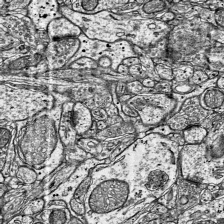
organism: Mouse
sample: Visual Cortex